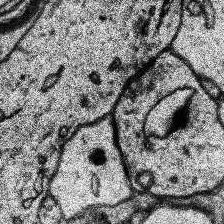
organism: Human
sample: Temporal Lobe